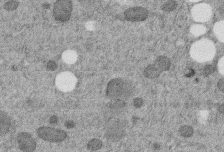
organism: C. elegans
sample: C. elegans embryo early stage